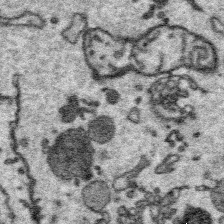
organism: Platynereis dumerilii